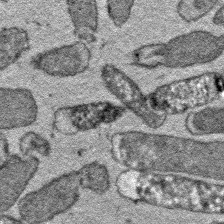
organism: E. coli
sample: E. Coli Bacteria